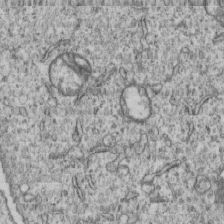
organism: Human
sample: MDA-MB-231 cells